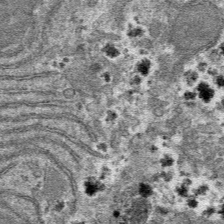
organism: Mouse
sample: Mouse hepatocytes